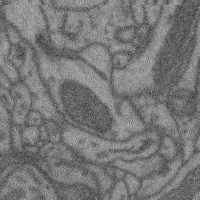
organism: Mouse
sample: Cerebral cortex